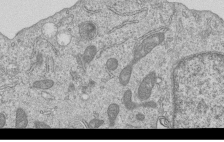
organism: Human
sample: MDA-MB-231 cells